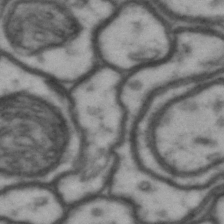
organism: Drosophila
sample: Brain